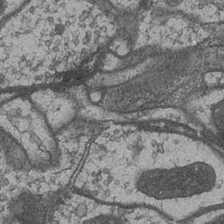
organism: Drosophila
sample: Optic medulla